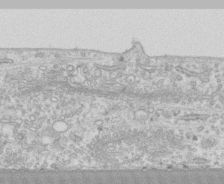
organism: Human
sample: CRL-1474